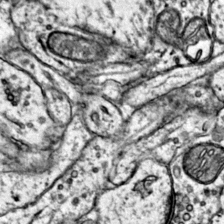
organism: Mouse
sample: Primary visual cortex